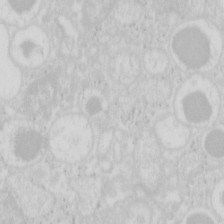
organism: Mouse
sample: Pancreas